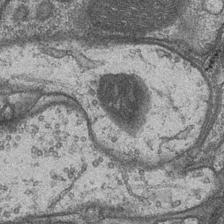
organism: Drosophila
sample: Optic medulla